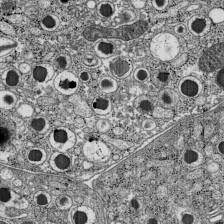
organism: C57BL Mouse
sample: Pancreatic islet